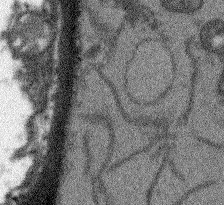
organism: Arabidopsis thaliana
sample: Root tip